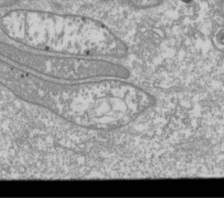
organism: Drosophila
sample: Cell division; meiosis; drosophila spermatocytes